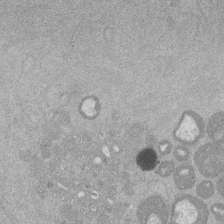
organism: Mouse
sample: Dividing mouse embryo 1 cell stage